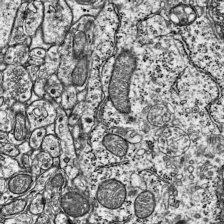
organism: Mouse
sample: Visual Cortex